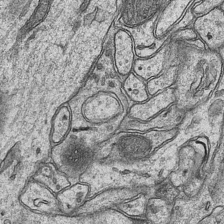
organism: Mouse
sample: CA1 Hippocampus